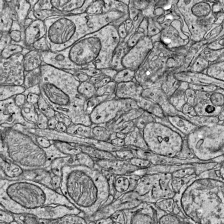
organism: Mouse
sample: Visual Cortex